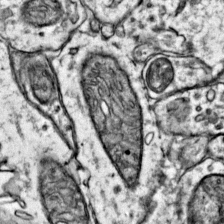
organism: Mouse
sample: Primary visual cortex